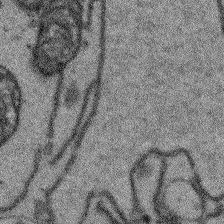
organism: Arabidopsis thaliana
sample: Root tip